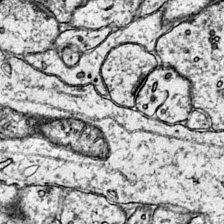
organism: Mouse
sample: Primary visual cortex